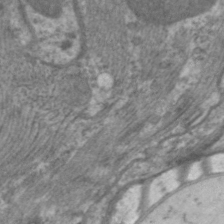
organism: C. elegans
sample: Pharynx